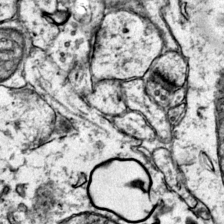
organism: Mouse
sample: Primary visual cortex